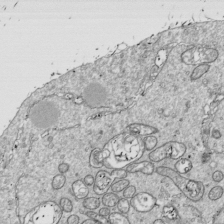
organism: Drosophila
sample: Cell division; meiosis; drosophila spermatocytes